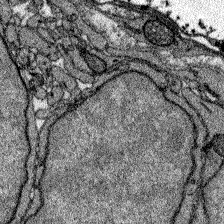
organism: Zebrafish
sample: Larval olfactory bulb